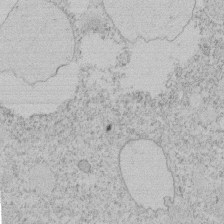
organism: Tetrahymena